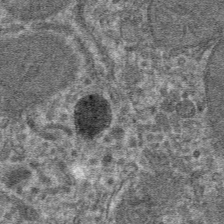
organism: Mouse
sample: Mouse hepatocytes